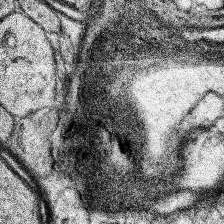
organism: Human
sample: Temporal Lobe